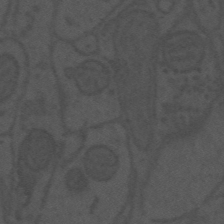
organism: Mouse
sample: Suprachiasmatic nucleus